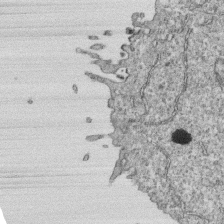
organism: Human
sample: HeLa cell HIV synapse